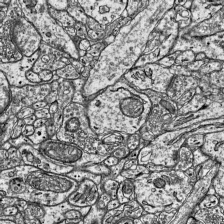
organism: Mouse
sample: Visual Cortex